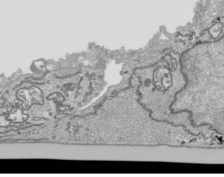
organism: Human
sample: Mitochondria in HCT116 cells